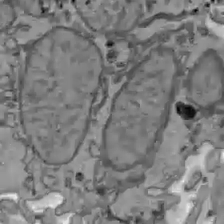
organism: C57BL Mouse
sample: Liver